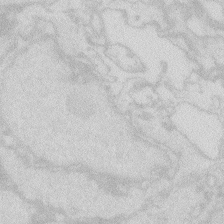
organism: Zebrafish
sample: Macrophage